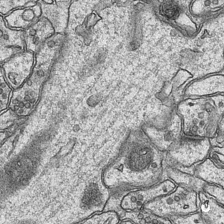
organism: Mouse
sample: CA1 Hippocampus